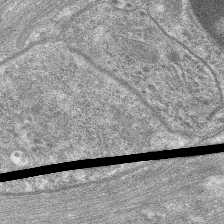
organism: C. elegans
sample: Pharynx